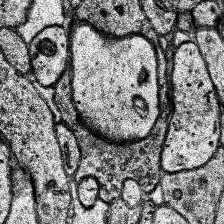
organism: Human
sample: Temporal Lobe